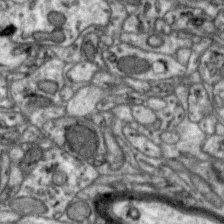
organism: Zebra finch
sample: Brain